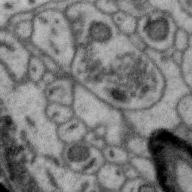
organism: Zebra finch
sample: Brain